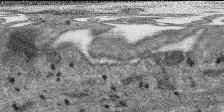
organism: Human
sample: Lung epithelial cells infected with SARS-CoV-2